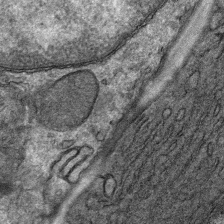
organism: Mouse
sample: Mouse Salivary gland